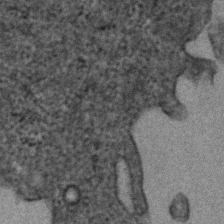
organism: Human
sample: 1205lu cells